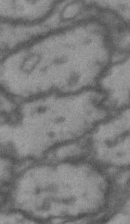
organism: Drosophila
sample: Brain